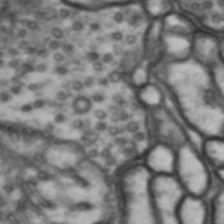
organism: Drosophila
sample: Brain